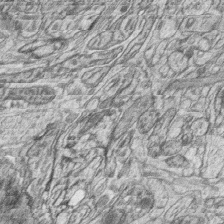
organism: Zebrafish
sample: synaptic ribbons in rod cells and cone cells